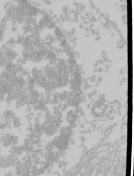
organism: Mouse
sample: Cancer cell death in ED-1 cells